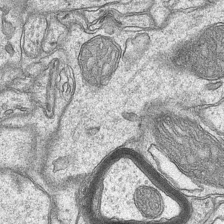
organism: Mouse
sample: CA1 Hippocampus